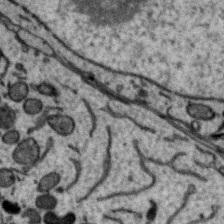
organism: Zebra finch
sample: Brain